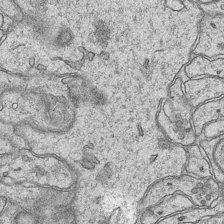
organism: Mouse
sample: CA1 Hippocampus